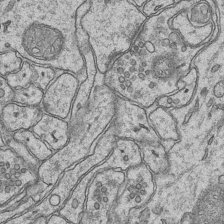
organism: Mouse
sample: CA1 Hippocampus